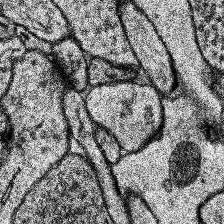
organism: Human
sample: Temporal Lobe